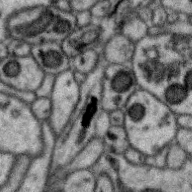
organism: Zebra finch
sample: Brain